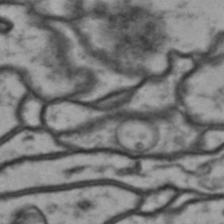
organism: Drosophila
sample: Brain